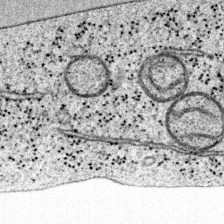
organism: Human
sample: HeLa cells